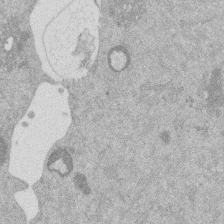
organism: Mouse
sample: Dividing mouse embryo 1 cell stage